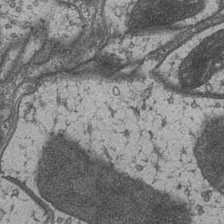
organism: Drosophila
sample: Optic medulla